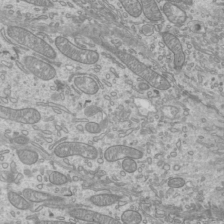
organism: Mouse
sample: Cilia; mouse epididymis